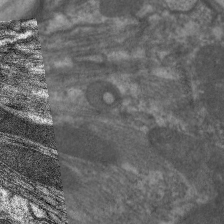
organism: C. elegans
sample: Pharynx